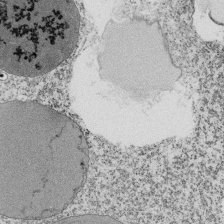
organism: Tetrahymena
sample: Cilia in tetrahymena